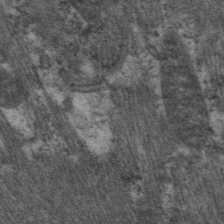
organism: C. elegans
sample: Pharynx